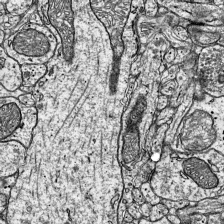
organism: Mouse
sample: Visual Cortex